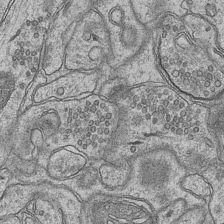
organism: Mouse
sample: CA1 Hippocampus